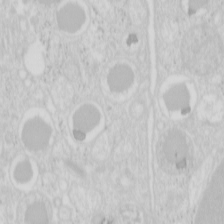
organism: Mouse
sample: Pancreas